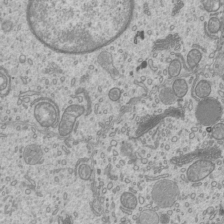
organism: Mouse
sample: Cilia; mouse epididymis